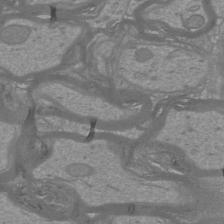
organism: Mouse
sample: Cortical neurons